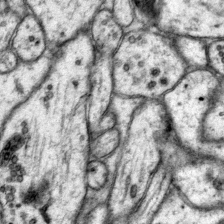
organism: Mouse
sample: Primary visual cortex